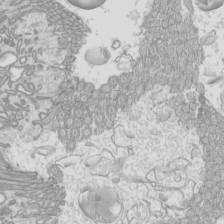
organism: Mouse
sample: Cilia; mouse epididymis